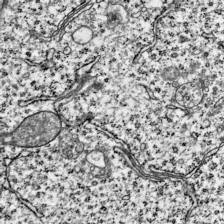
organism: Mouse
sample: Visual Cortex